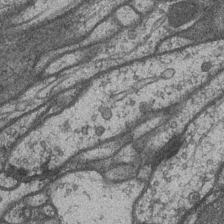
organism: Drosophila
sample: Optic medulla